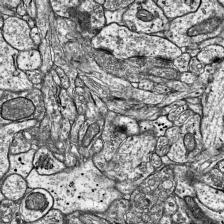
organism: Mouse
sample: Visual Cortex